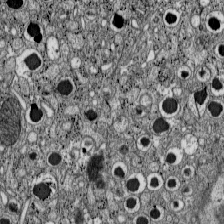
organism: C57BL Mouse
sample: Pancreatic islet